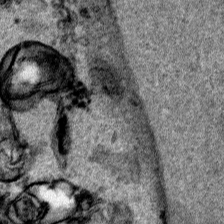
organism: Human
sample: Mitochondria in HCT116 cells